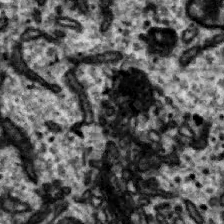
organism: Human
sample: HeLa cells